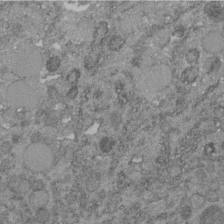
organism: C. elegans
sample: C. elegans embryo early stage